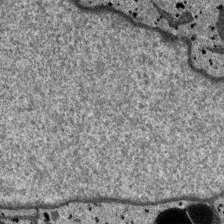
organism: Human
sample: Lung epithelial cells, uninfected (mock) control